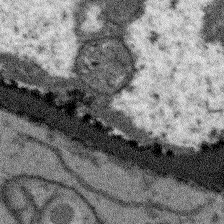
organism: Arabidopsis thaliana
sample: Root tip